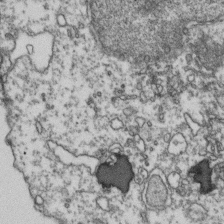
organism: Human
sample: Activated Jurkat CD4+ T cells